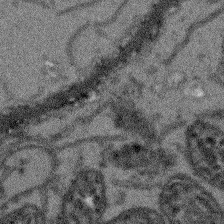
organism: Arabidopsis thaliana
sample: Root tip